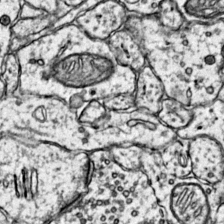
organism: Mouse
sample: Primary visual cortex